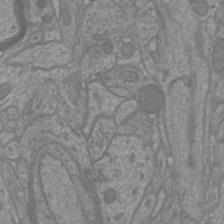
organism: Mouse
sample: Cortical neurons